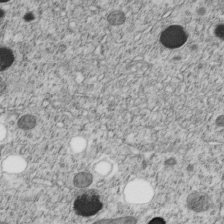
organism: C. elegans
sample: C. elegans embryo early stage